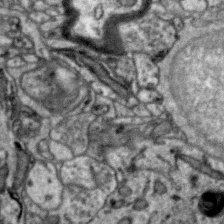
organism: Zebra finch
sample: Brain